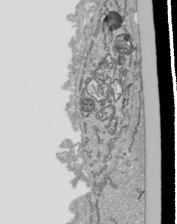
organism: Human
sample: Mitochondria in HCT116 cells